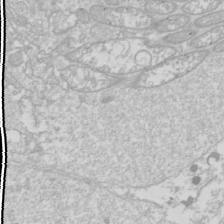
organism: Drosophila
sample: Cell division; meiosis; drosophila spermatocytes